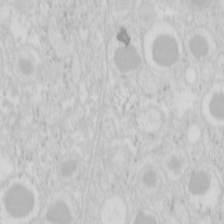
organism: Mouse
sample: Pancreas